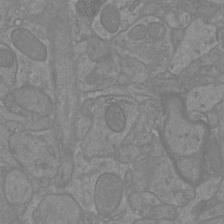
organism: Mouse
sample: Cortical neurons